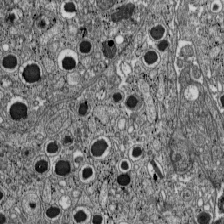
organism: C57BL Mouse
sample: Pancreatic islet